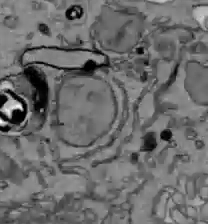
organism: C57BL Mouse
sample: Liver